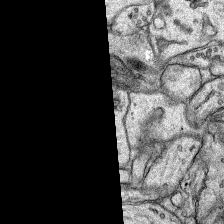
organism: Rat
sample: Hippocampus